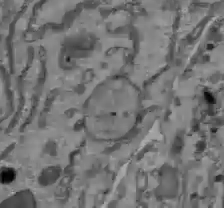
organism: C57BL Mouse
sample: Liver